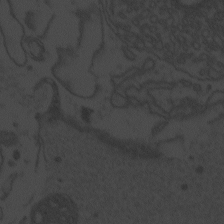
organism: Zebrafish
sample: Macrophage infected with Toxoplasma gondii